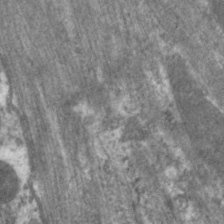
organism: C. elegans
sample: Pharynx